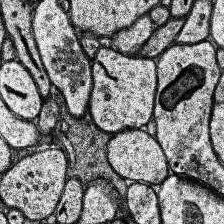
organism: Human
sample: Temporal Lobe